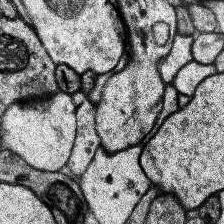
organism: Human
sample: Temporal Lobe